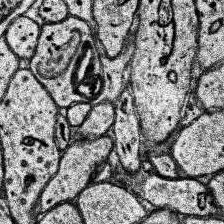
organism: Human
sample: Temporal Lobe